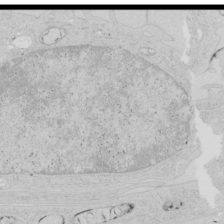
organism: Human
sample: Mitochondria in HCT116 cells